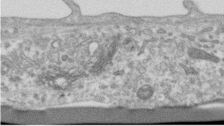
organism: Human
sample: Centriole in RPE cells